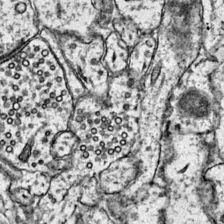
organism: Mouse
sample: Primary visual cortex